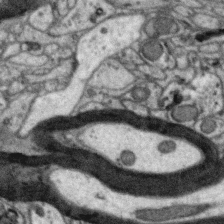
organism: Zebra finch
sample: Brain